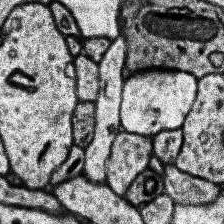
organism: Human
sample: Temporal Lobe